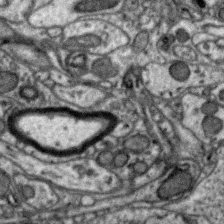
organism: Zebra finch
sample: Brain